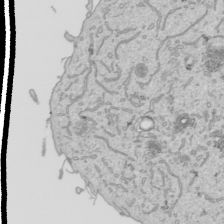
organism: Human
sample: Mitochondria in HCT116 cells